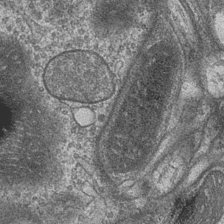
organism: Drosophila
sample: Optic medulla